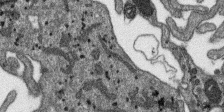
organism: Human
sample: Lung epithelial cells infected with SARS-CoV-2